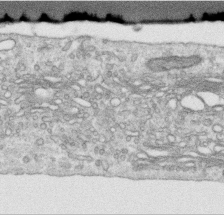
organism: Human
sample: Centriole in RPE cells